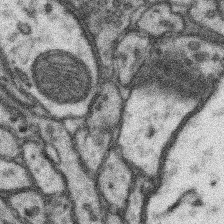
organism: Mouse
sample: Somatosensory cortex neuropil